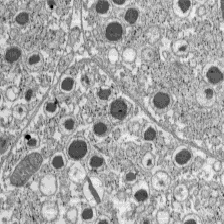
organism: C57BL Mouse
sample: Pancreatic islet